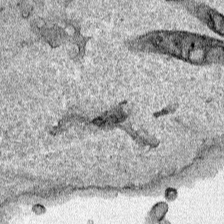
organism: Human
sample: Mitochondria in HCT116 cells